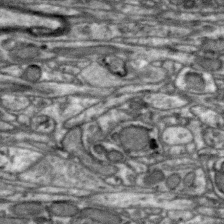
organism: Zebra finch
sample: Brain